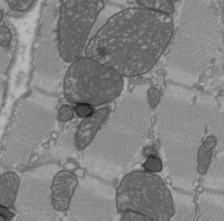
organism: C57BL Mouse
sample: Heart